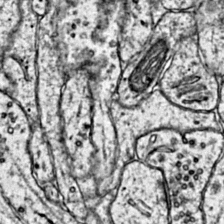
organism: Mouse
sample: Primary visual cortex